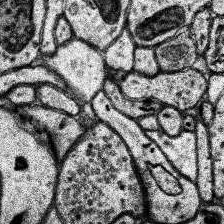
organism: Human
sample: Temporal Lobe